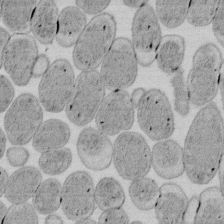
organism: E. coli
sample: Bacterial nucleoid